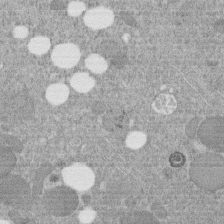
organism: C. elegans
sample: C. elegans embryo early stage